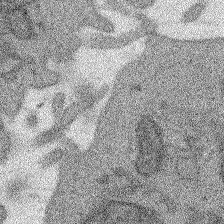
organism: Human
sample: HeLa cells